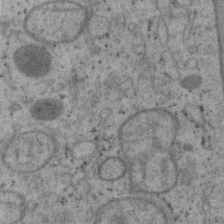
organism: Human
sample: HeLa cells